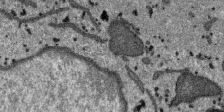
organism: Human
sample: Lung epithelial cells, uninfected (mock) control